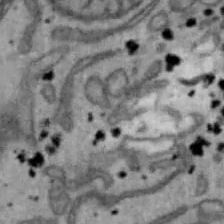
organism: Mouse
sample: Liver